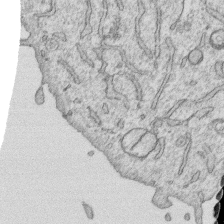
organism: Human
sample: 1205lu cells